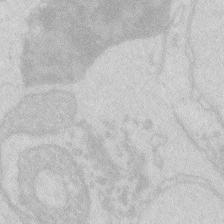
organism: Zebrafish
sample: Macrophage